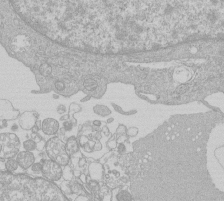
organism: Human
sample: Macrophage cells